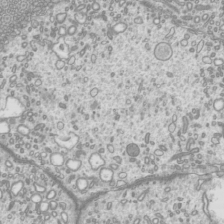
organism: Mouse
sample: Cilia; mouse epididymis